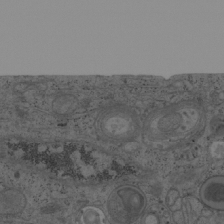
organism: Human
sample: HeLa cells